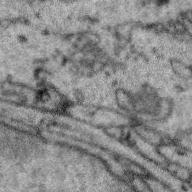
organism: Zebra finch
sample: Brain